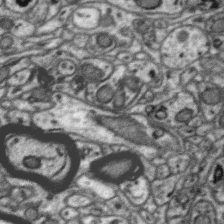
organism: Zebra finch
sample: Brain